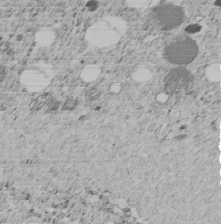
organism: C. elegans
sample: C. elegans embryo early stage